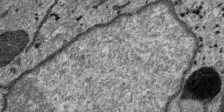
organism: Human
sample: Lung epithelial cells, uninfected (mock) control